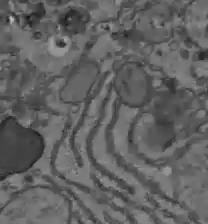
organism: C57BL Mouse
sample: Liver